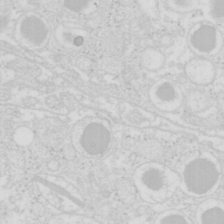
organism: Mouse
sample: Pancreas